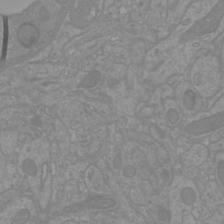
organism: Mouse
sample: Cortical neurons